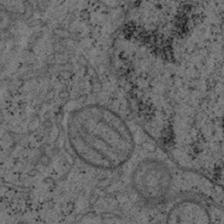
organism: Human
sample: HeLa cells